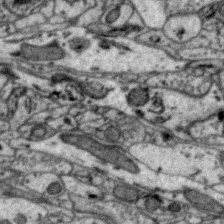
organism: Zebra finch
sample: Brain